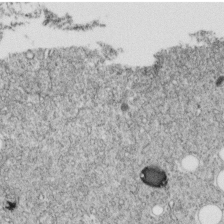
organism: C. elegans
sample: C. elegans embryo early stage